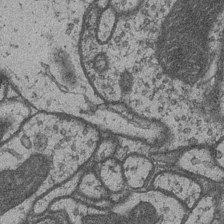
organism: Drosophila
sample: Optic medulla